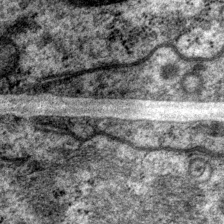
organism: P. pacificus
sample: Pharynx